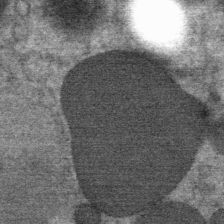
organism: Mouse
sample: Mouse Salivary gland